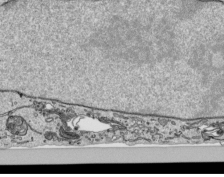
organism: Human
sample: Mitochondria in HCT116 cells